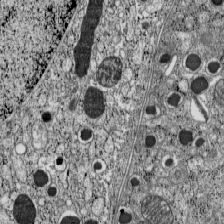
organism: C57BL Mouse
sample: Pancreatic islet